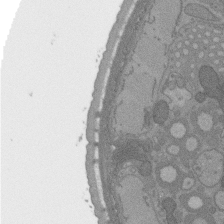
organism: C. elegans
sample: AFD neurons C. elegans